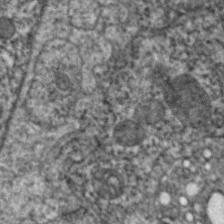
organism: C. elegans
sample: Pharynx